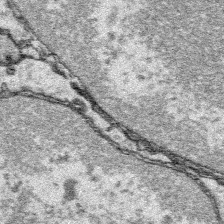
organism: Platynereis dumerilii